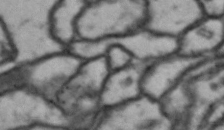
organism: Drosophila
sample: Brain